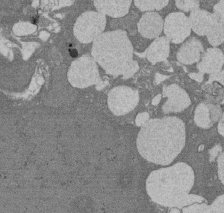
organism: Rat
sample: Salivary granule